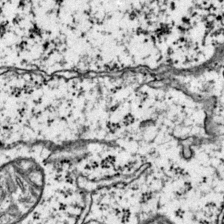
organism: Mouse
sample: Primary visual cortex